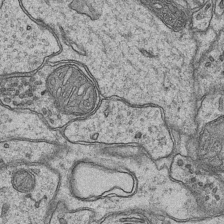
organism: Mouse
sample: CA1 Hippocampus